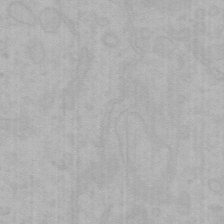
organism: Mouse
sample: Choroid plexus